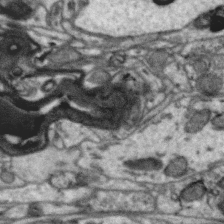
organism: Zebra finch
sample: Brain